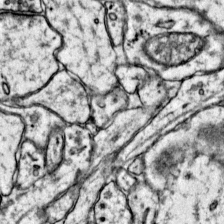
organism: Mouse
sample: Primary visual cortex